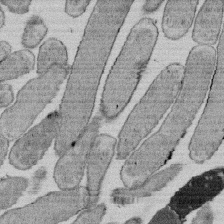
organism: E. coli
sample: Bacterial nucleoid